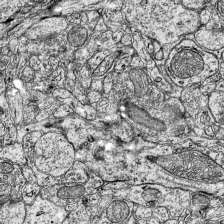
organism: Mouse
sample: Visual Cortex